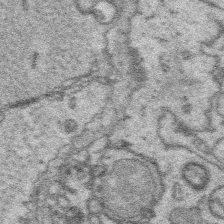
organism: Platynereis dumerilii